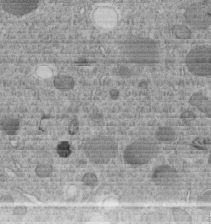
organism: C. elegans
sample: C. elegans embryo early stage